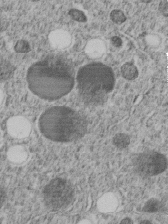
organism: C. elegans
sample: C. elegans embryo early stage